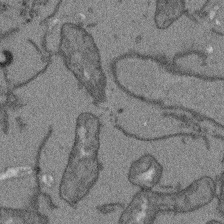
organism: Arabidopsis thaliana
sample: Root tip